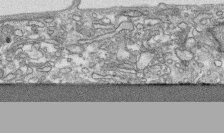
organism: Human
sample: CRL-1474